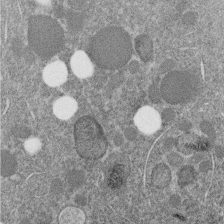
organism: C. elegans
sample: C. elegans embryo early stage